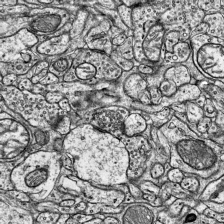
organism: Mouse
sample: Visual Cortex